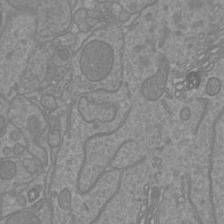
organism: Mouse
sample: Cortical neurons